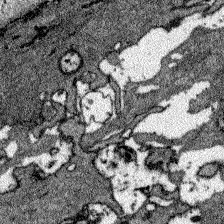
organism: Zebrafish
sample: Larval olfactory bulb